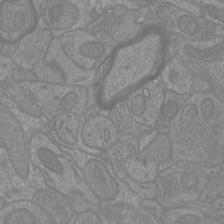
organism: Mouse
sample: Cortical neurons